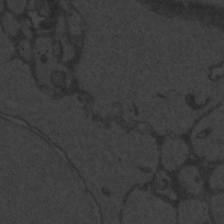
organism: Zebrafish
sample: Macrophage infected with Toxoplasma gondii